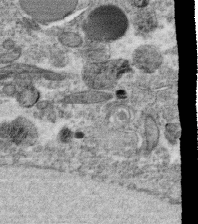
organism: C. elegans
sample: C. elegans oocyte; sperm cells